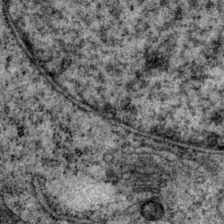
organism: P. pacificus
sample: Pharynx